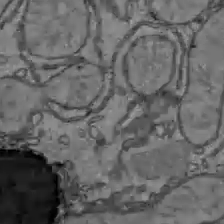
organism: C57BL Mouse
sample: Liver